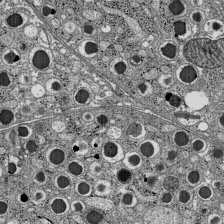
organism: C57BL Mouse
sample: Pancreatic islet